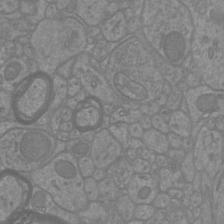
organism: Mouse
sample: Cortical neurons